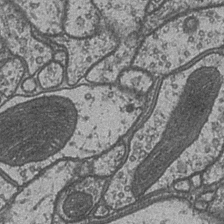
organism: Drosophila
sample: Optic medulla